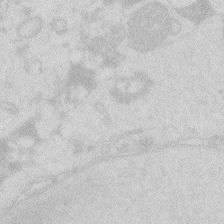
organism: Zebrafish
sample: Macrophage